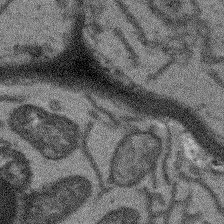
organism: Arabidopsis thaliana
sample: Root tip